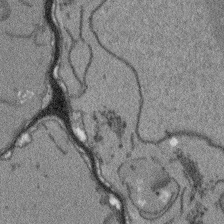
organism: Arabidopsis thaliana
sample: Root tip